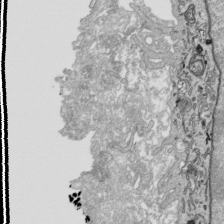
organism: Human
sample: Mitochondria in HCT116 cells